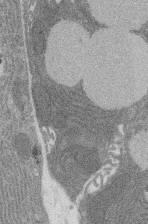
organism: Rat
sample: Salivary granule